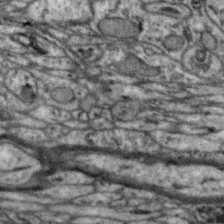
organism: Zebra finch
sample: Brain